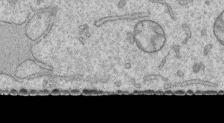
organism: Human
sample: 1205lu cells